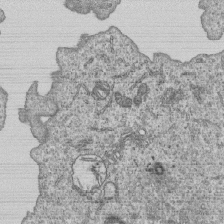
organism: Human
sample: MDA-MB-231 cells